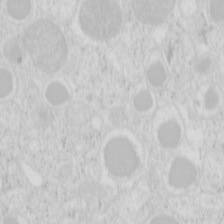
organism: Mouse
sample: Pancreas